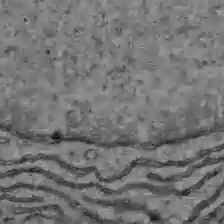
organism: C57BL Mouse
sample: Liver